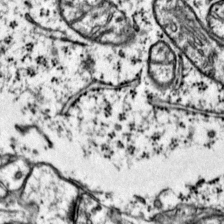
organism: Mouse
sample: Primary visual cortex